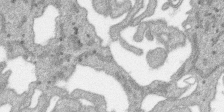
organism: Human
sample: Lung epithelial cells infected with SARS-CoV-2